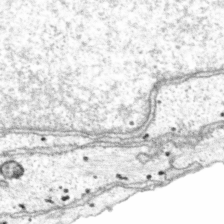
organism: Human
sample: HeLa cells